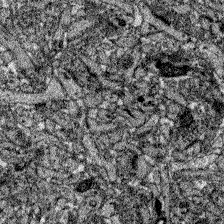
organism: Zebrafish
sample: Larval olfactory bulb